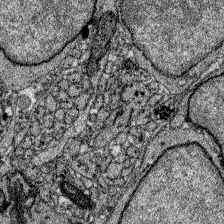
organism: Zebrafish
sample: Larval olfactory bulb